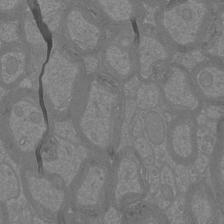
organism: Mouse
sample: Cortical neurons